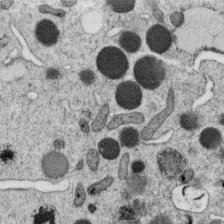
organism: C. elegans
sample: C. elegans oocyte; sperm cells